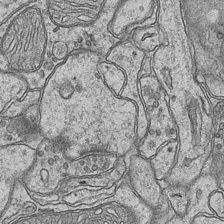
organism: Mouse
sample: CA1 Hippocampus